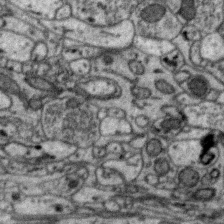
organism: Zebra finch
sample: Brain